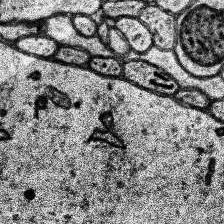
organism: Human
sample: Temporal Lobe